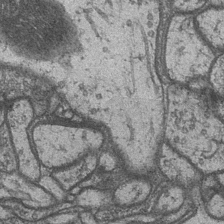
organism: Drosophila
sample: Optic medulla